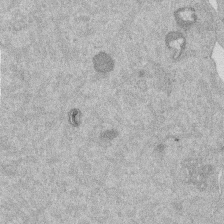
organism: Mouse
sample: Dividing mouse embryo 1 cell stage